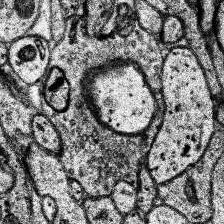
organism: Human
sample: Temporal Lobe